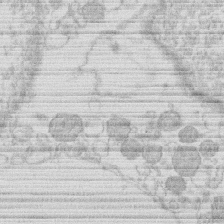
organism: Human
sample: Macrophage cells